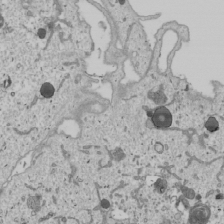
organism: Human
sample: Mitochondria in U2OS cells